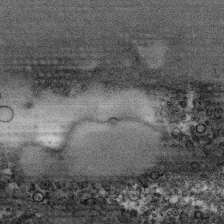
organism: Human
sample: CRL-1474